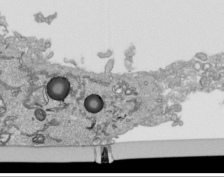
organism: Human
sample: Mitochondria in HCT116 cells